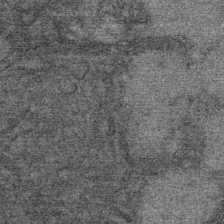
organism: Mouse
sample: Mouse Salivary gland